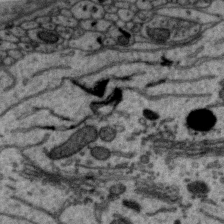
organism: Zebra finch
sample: Brain